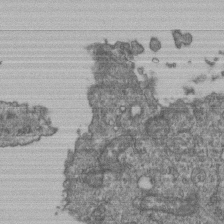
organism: Human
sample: Retinal organoid Rod and Cone cells